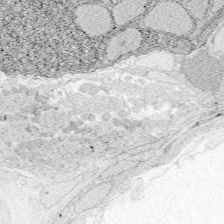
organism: Zebrafish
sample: Whole-Brain